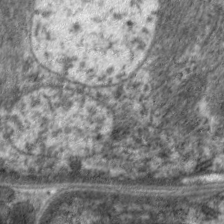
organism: C. elegans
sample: Pharynx